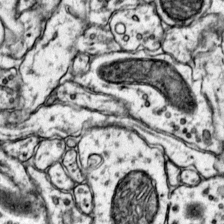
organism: Mouse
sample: Primary visual cortex